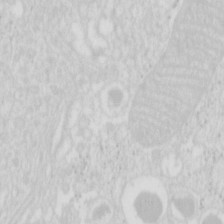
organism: Mouse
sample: Pancreas